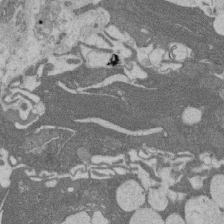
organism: Rat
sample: Salivary granule